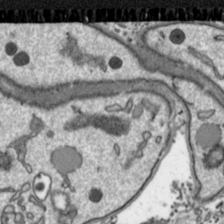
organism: Toxoplasma gondii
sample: Parasites in a vacuole inside a host cell